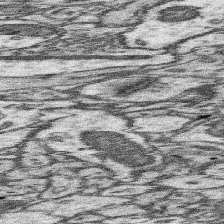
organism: Mouse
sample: Somatosensory cortex neuropil